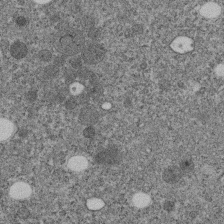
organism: C. elegans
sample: C. elegans embryo early stage